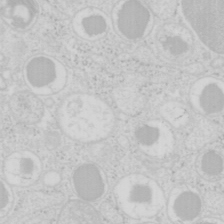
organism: Mouse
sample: Pancreas